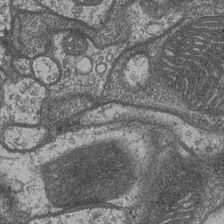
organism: Drosophila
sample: Optic medulla